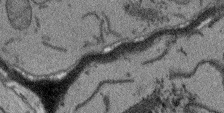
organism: Arabidopsis thaliana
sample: Root tip